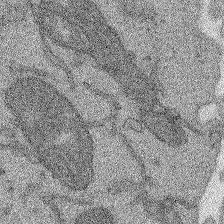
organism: Human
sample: HeLa cells